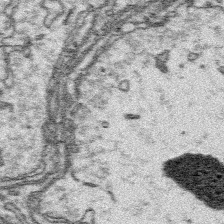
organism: Platynereis dumerilii